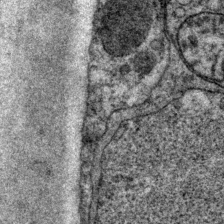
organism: P. pacificus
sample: Pharynx